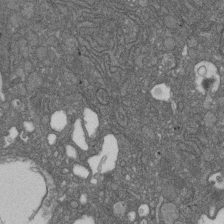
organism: Drosophila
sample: Nephrocyte